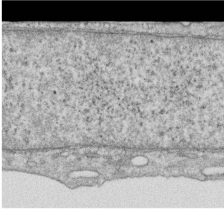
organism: Human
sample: Centriole in RPE cells